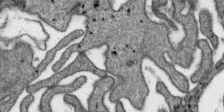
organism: Human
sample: Lung epithelial cells, uninfected (mock) control